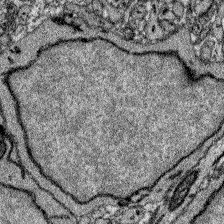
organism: Zebrafish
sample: Larval olfactory bulb